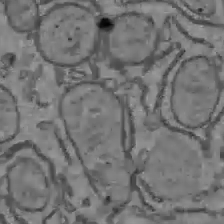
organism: C57BL Mouse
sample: Liver